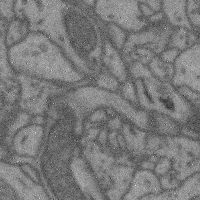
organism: Mouse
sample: Cerebral cortex